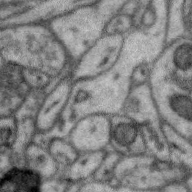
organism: Zebra finch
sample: Brain